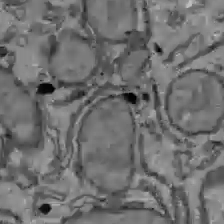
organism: C57BL Mouse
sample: Liver